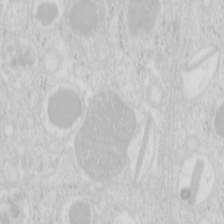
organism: Mouse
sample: Pancreas